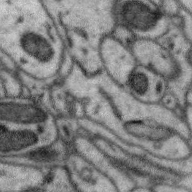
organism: Zebra finch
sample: Brain